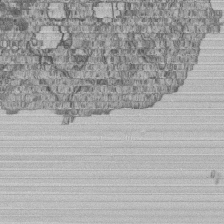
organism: Human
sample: MDA-MB-231 cells